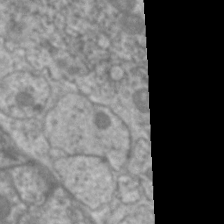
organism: C. elegans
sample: Pharynx